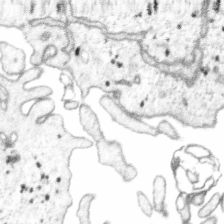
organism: Human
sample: HeLa cells